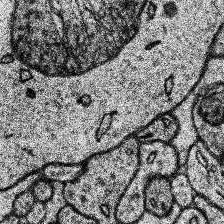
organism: Human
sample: Temporal Lobe